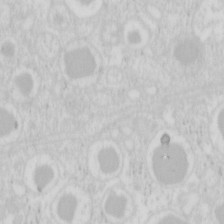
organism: Mouse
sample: Pancreas